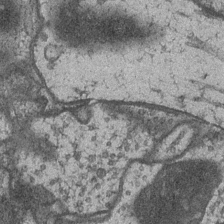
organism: Drosophila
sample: Optic medulla